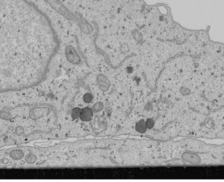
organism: Human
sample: Mitochondria in U2OS cells